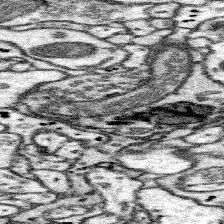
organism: Mouse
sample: Somatosensory cortex neuropil